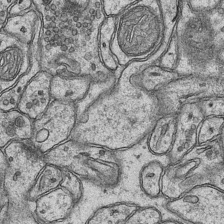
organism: Mouse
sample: CA1 Hippocampus